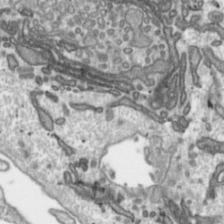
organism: Toxoplasma gondii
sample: Parasites in a vacuole inside a host cell